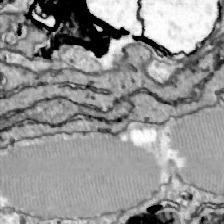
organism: Zebrafish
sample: Actinotrichia fibers